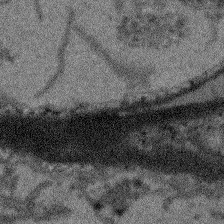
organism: Arabidopsis thaliana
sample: Root tip